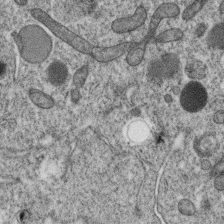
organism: C. elegans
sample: C. elegans oocyte; sperm cells